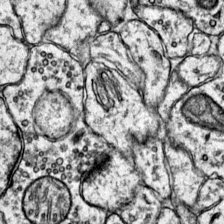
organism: Mouse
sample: Primary visual cortex